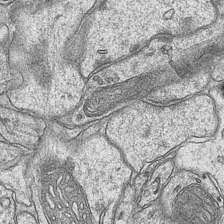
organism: Mouse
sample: CA1 Hippocampus